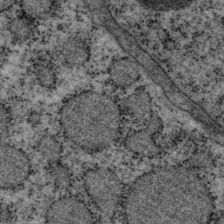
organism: P. pacificus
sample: Pharynx